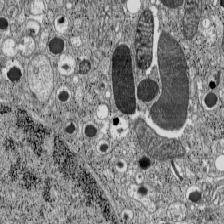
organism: C57BL Mouse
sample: Pancreatic islet